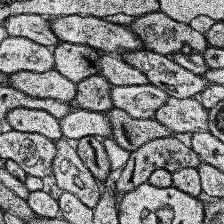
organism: Human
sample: Temporal Lobe